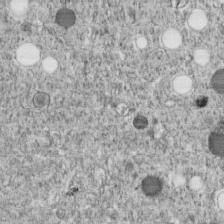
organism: C. elegans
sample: C. elegans embryo early stage